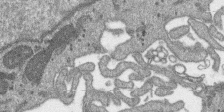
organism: Human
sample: Lung epithelial cells infected with SARS-CoV-2